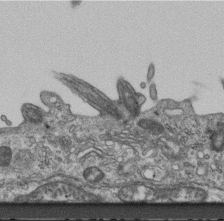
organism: Mouse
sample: Centriole in ependymal cells